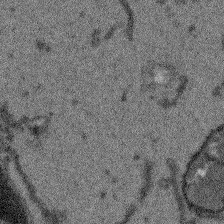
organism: Arabidopsis thaliana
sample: Root tip